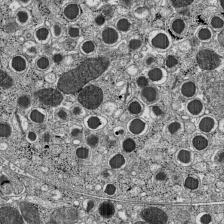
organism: C57BL Mouse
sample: Pancreatic islet